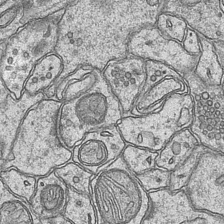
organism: Mouse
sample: CA1 Hippocampus